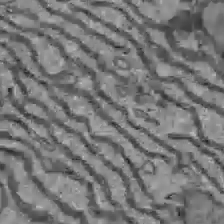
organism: C57BL Mouse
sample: Liver